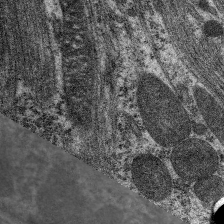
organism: C. elegans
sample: Pharynx